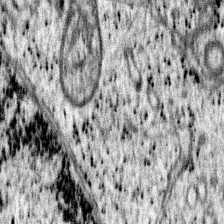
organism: Human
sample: HeLa cells